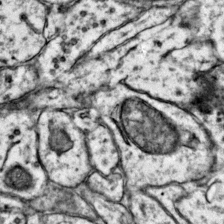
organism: Mouse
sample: Primary visual cortex